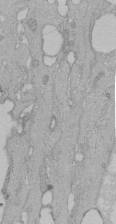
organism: Human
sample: Melanocyte Keratinocyte synapse skin construct